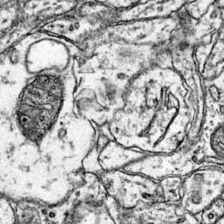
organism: Mouse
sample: Primary visual cortex